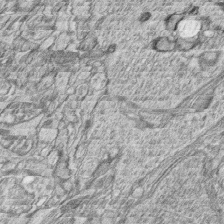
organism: Zebrafish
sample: synaptic ribbons in rod cells and cone cells